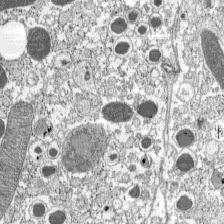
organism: C57BL Mouse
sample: Pancreatic islet